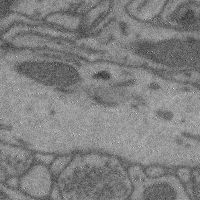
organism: Mouse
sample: Cerebral cortex